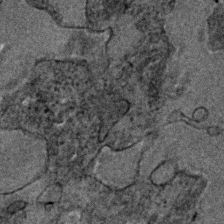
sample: Trachea